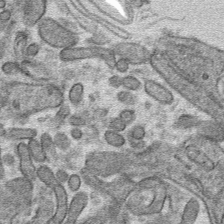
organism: Mouse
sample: Mouse hepatocytes